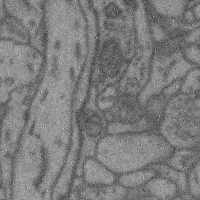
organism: Mouse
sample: Cerebral cortex